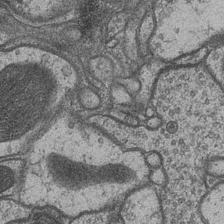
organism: Drosophila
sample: Optic medulla